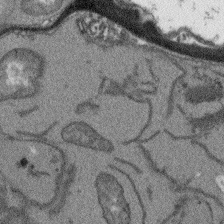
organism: Arabidopsis thaliana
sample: Root tip